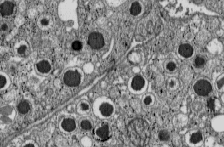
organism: C57BL Mouse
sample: Pancreatic islet